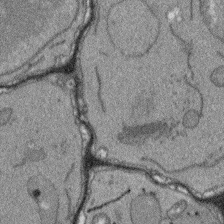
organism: Arabidopsis thaliana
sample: Root tip